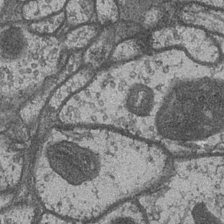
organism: Drosophila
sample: Optic medulla